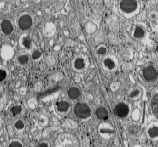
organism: C57BL Mouse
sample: Pancreatic islet